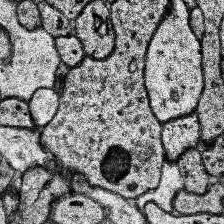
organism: Human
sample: Temporal Lobe